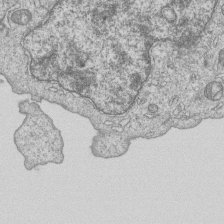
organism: Human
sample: MDA-MB-231 cells